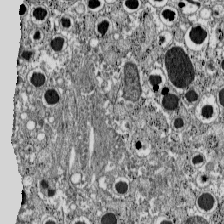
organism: C57BL Mouse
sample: Pancreatic islet